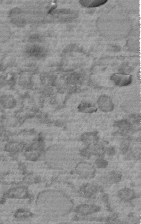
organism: C. elegans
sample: C. elegans embryo early stage